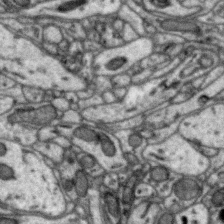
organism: Zebra finch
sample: Brain